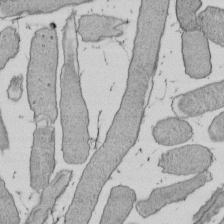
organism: E. coli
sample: Bacterial nucleoid